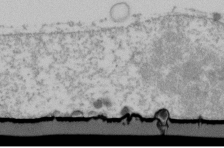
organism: Human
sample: U2-OS cells